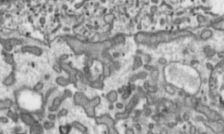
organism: Toxoplasma gondii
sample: Parasites in a vacuole inside a host cell